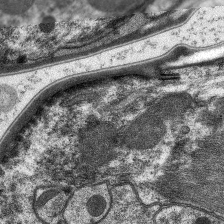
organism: C. elegans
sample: Pharynx